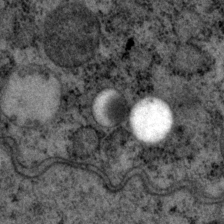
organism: P. pacificus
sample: Pharynx